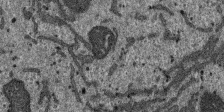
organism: Human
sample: Lung epithelial cells infected with SARS-CoV-2